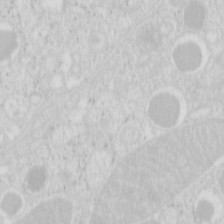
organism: Mouse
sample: Pancreas